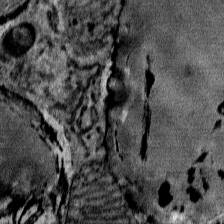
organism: Mouse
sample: Mouse Salivary gland